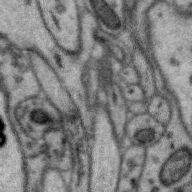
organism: Zebra finch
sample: Brain